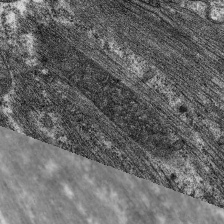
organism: C. elegans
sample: Pharynx